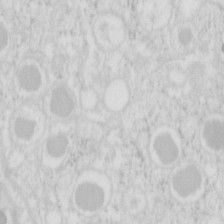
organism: Mouse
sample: Pancreas